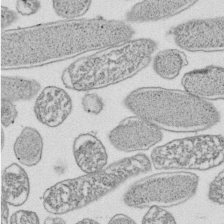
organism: E. coli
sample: Bacterial nucleoid